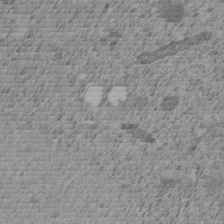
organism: C. elegans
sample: C. elegans embryo early stage